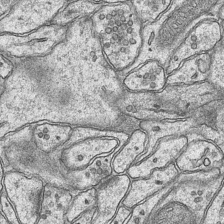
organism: Mouse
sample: CA1 Hippocampus